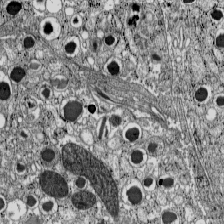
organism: C57BL Mouse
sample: Pancreatic islet